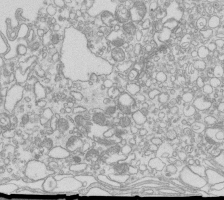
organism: Mouse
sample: Macrophages